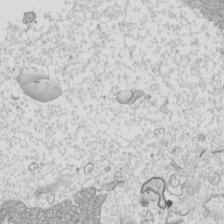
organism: Mouse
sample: Cilia; mouse epididymis